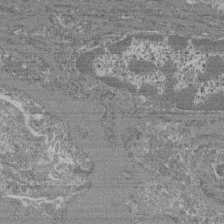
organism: Mouse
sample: Glomerulus